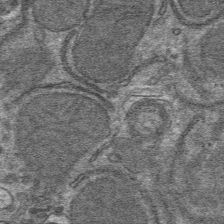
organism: Mouse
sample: Mouse hepatocytes